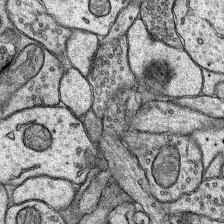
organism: Rat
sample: Hippocampus